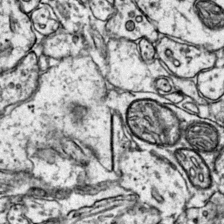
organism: Mouse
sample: Primary visual cortex